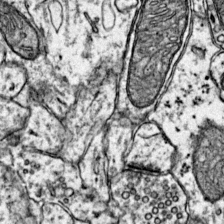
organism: Mouse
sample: Primary visual cortex